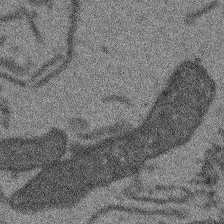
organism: Arabidopsis thaliana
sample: Root tip